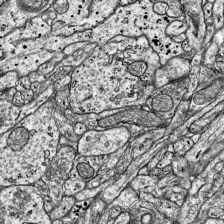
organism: Mouse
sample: Visual Cortex